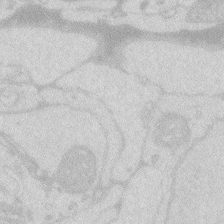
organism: Zebrafish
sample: Macrophage